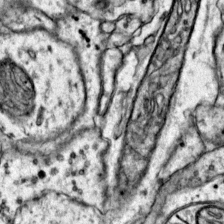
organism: Mouse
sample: Primary visual cortex